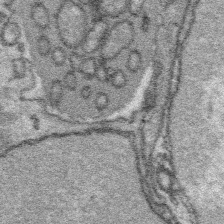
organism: Platynereis dumerilii